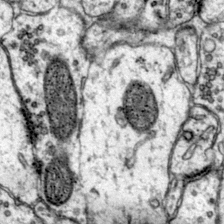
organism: Mouse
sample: Primary visual cortex